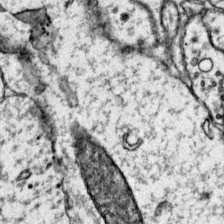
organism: Mouse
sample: Primary visual cortex